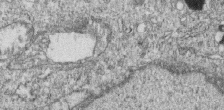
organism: Human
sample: HeLa cell HIV synapse